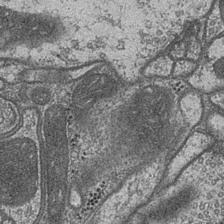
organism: Drosophila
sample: Optic medulla